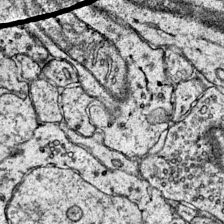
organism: Mouse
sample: Primary visual cortex